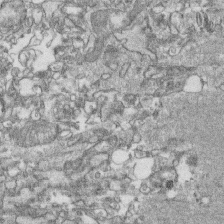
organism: Human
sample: CRL-1474